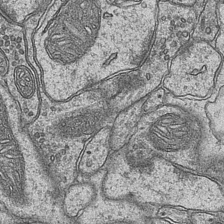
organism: Mouse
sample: CA1 Hippocampus